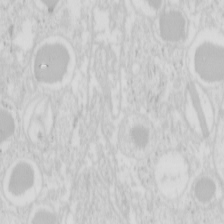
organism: Mouse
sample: Pancreas